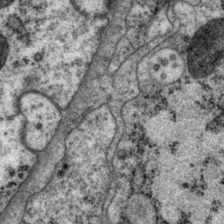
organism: P. pacificus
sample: Pharynx